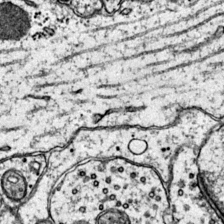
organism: Mouse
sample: Primary visual cortex